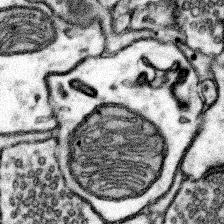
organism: Mouse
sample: Somatosensory cortex neuropil